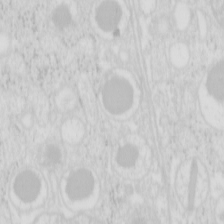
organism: Mouse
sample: Pancreas